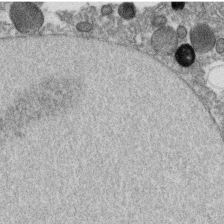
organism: C. elegans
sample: C. elegans oocyte; sperm cells